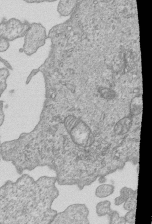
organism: Human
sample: MDA-MB-231 cells